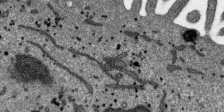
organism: Human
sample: Lung epithelial cells, uninfected (mock) control